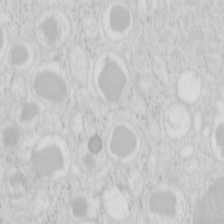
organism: Mouse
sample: Pancreas